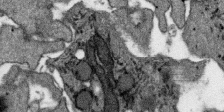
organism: Human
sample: Lung epithelial cells, uninfected (mock) control